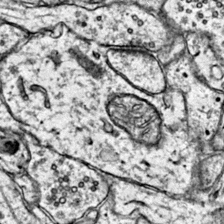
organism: Mouse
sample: Primary visual cortex